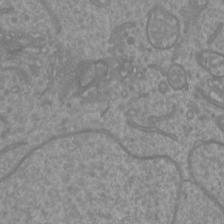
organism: Mouse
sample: Cortical neurons